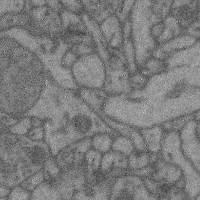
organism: Mouse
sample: Cerebral cortex